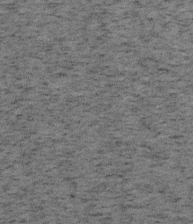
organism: Mouse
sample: OT-I killer T cells with ID8 ovarian cancer cells